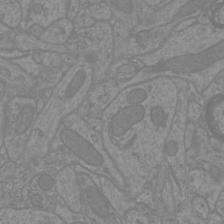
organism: Mouse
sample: Cortical neurons